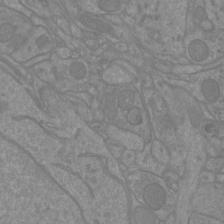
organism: Mouse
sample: Cortical neurons